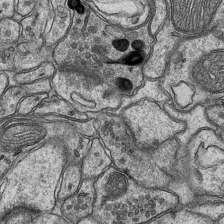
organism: Mouse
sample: CA1 Hippocampus